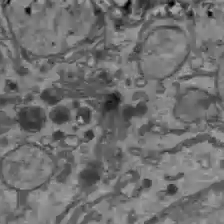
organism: C57BL Mouse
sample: Liver